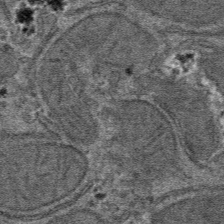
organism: Mouse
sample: Mouse hepatocytes